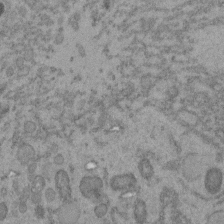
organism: C. elegans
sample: C. elegans embryo early stage